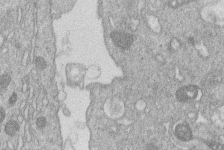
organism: Human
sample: Macrophage cells